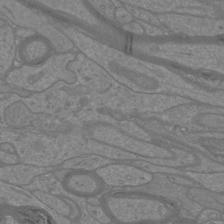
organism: Mouse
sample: Cortical neurons